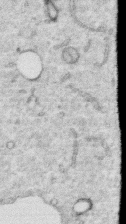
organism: Human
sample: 1205lu cells